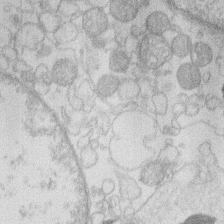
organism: Human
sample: Macrophage cells